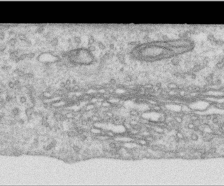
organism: Human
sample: Centriole in RPE cells